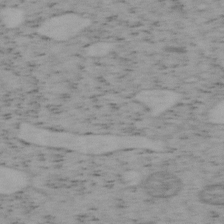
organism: Mouse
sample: OT-I killer T cells with ID8 ovarian cancer cells